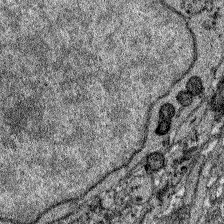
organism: Zebrafish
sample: Larval olfactory bulb